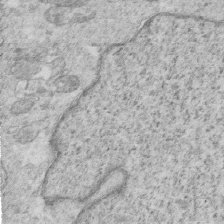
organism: Mouse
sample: Multiciliated cells